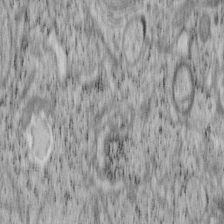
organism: Human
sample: HeLa cells